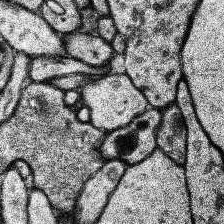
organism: Human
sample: Temporal Lobe